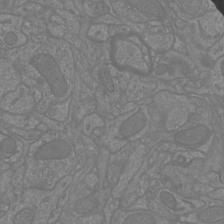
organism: Mouse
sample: Cortical neurons